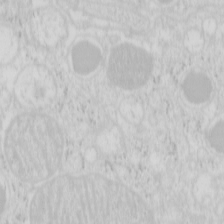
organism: Mouse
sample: Pancreas